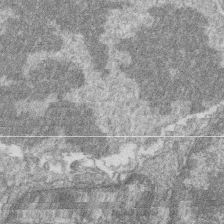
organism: Zebrafish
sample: Cilia; retinal pigment epithelium